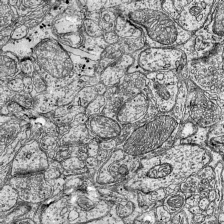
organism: Mouse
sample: Visual Cortex